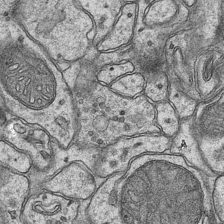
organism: Mouse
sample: CA1 Hippocampus